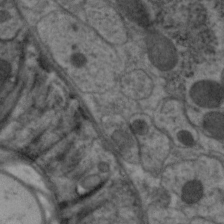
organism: C. elegans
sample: Pharynx